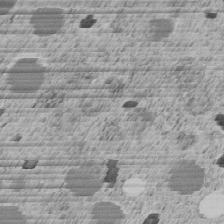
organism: C. elegans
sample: C. elegans embryo early stage